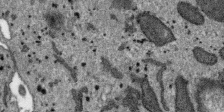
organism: Human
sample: Lung epithelial cells, uninfected (mock) control